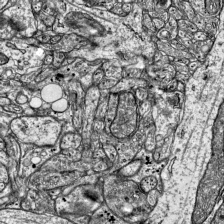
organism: Mouse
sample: Visual Cortex